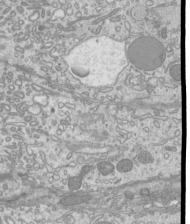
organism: Mouse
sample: Cilia; mouse epididymis